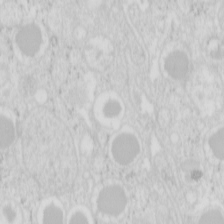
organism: Mouse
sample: Pancreas